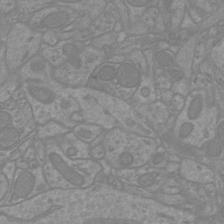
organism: Mouse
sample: Cortical neurons